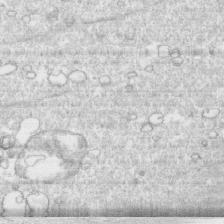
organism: Human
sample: CRL-1474